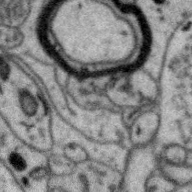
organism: Zebra finch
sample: Brain